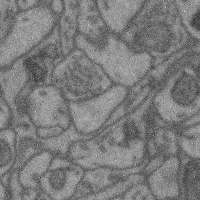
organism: Mouse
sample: Cerebral cortex